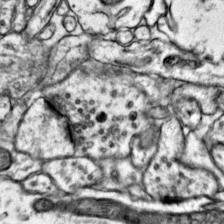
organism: Mouse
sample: Primary visual cortex